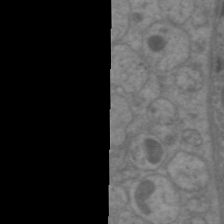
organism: C. elegans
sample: Pharynx